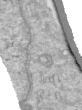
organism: Human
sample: Centriole in RPE cells